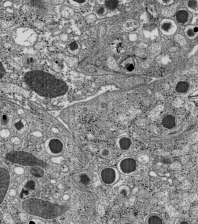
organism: C57BL Mouse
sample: Pancreatic islet